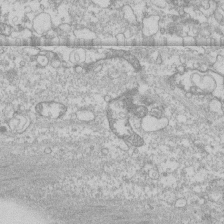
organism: Human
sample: CRL-1474